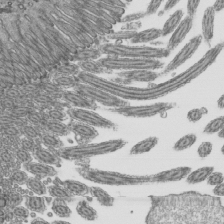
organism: Mouse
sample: Mouse epididymis efferent ductule cilia